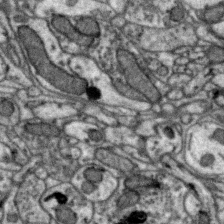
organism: Zebra finch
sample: Brain